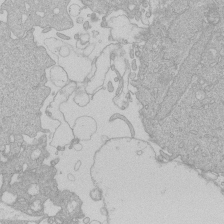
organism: Human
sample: Macrophage cells